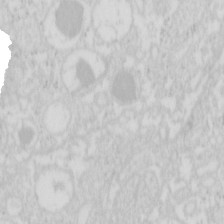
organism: Mouse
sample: Pancreas